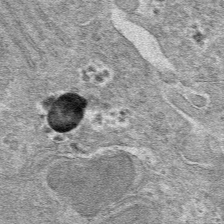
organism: Mouse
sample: Mouse hepatocytes